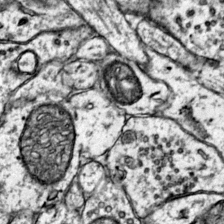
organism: Mouse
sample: Primary visual cortex